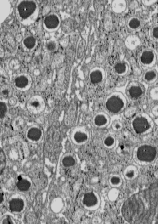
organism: C57BL Mouse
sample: Pancreatic islet